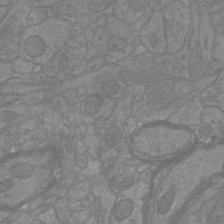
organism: Mouse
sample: Cortical neurons